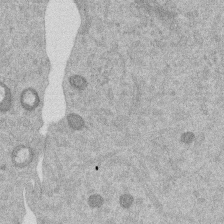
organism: Mouse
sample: Dividing mouse embryo 1 cell stage